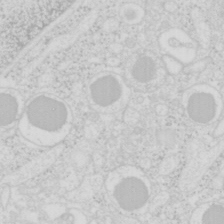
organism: Mouse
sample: Pancreas